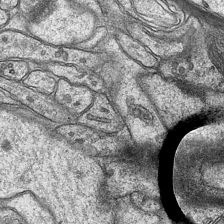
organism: Mouse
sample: CA1 Hippocampus